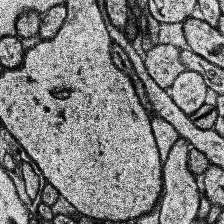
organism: Human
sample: Temporal Lobe